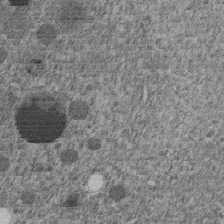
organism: C. elegans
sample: C. elegans embryo early stage